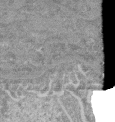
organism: Mouse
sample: Glomerulus